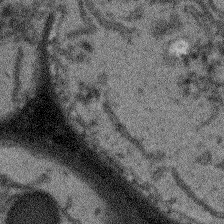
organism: Arabidopsis thaliana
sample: Root tip